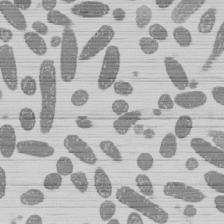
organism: E. coli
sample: Bacterial nucleoid